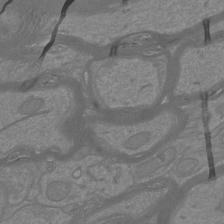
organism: Mouse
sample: Cortical neurons